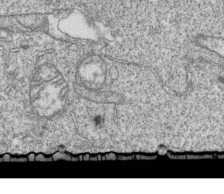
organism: Human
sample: HeLa cell HIV synapse